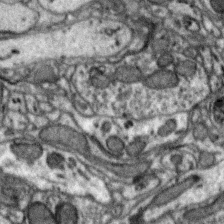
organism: Zebra finch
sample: Brain